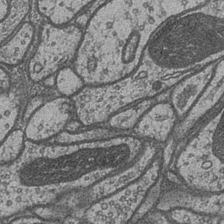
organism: Drosophila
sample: Optic medulla